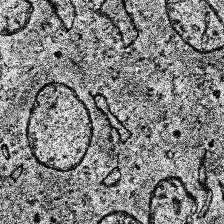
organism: Human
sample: Temporal Lobe